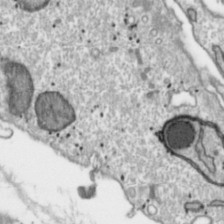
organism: Toxoplasma gondii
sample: Parasites in a vacuole inside a host cell